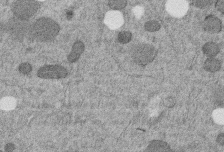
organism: C. elegans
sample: C. elegans embryo early stage